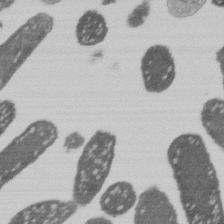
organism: E. coli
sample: Bacterial nucleoid